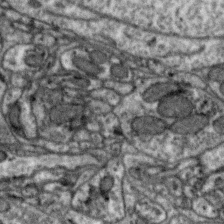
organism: Zebra finch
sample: Brain